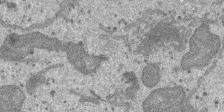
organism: Human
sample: Lung epithelial cells infected with SARS-CoV-2